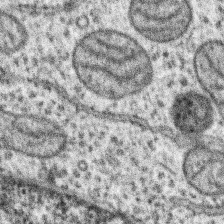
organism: Human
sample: HeLa cells